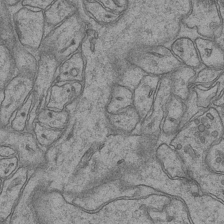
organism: Mouse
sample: CA1 Hippocampus